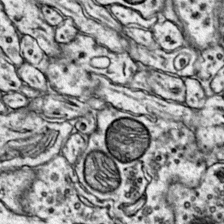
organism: Mouse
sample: Primary visual cortex